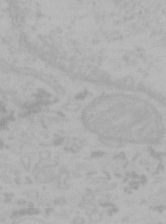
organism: Mouse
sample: Choroid plexus